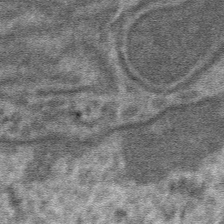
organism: Mouse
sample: Mouse hepatocytes